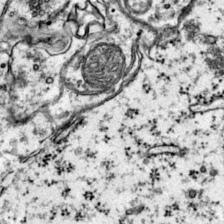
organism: Mouse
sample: Primary visual cortex